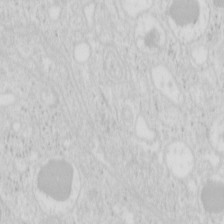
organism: Mouse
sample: Pancreas